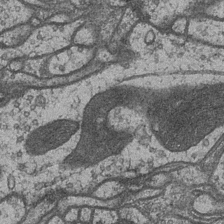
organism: Drosophila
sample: Optic medulla